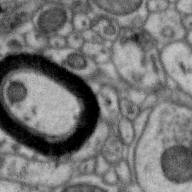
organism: Zebra finch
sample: Brain